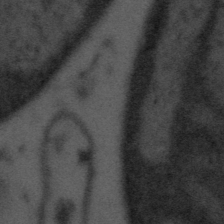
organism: Tuwongella immobilis